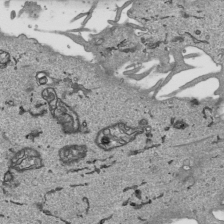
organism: Human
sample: Mitochondria in HCT116 cells